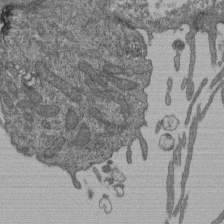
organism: Human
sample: Retinal organoid Rod and Cone cells